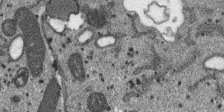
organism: Human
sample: Lung epithelial cells infected with SARS-CoV-2